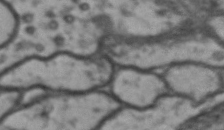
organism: Drosophila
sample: Brain